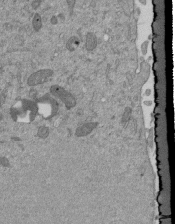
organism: Mouse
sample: ED-1 cell nuclei; centrioles